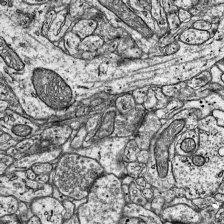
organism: Mouse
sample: Visual Cortex